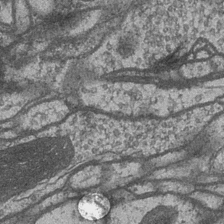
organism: Drosophila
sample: Optic medulla